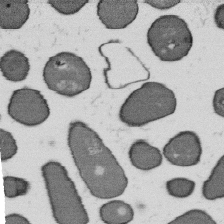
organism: B. subtilis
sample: Bacterial spore